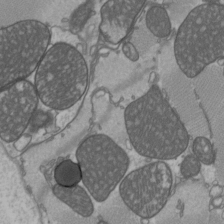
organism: C57BL Mouse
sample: Heart